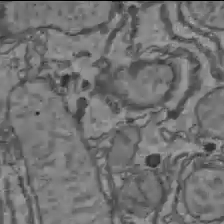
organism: C57BL Mouse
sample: Liver